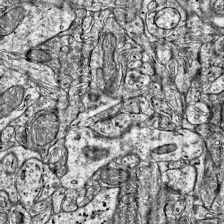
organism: Mouse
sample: Visual Cortex